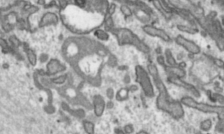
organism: Toxoplasma gondii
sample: Parasites in a vacuole inside a host cell